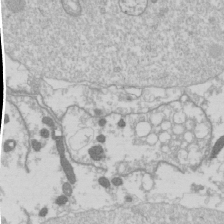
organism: Drosophila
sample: Cell division; meiosis; drosophila spermatocytes